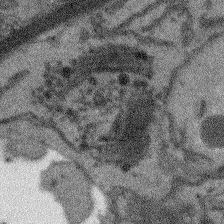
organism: Arabidopsis thaliana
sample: Root tip